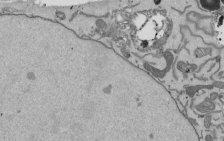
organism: Mouse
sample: ED-1 cell nuclei; centrioles